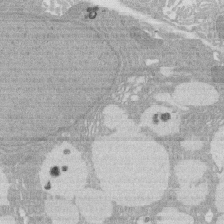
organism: Rat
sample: Salivary granule